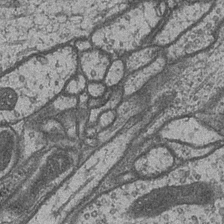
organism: Drosophila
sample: Optic medulla